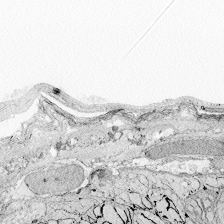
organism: Zebrafish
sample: Whole-Brain